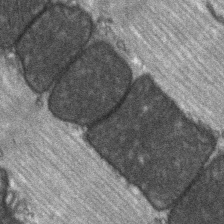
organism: C57BL Mouse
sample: Soleus